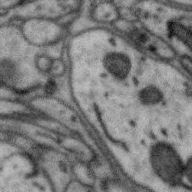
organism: Zebra finch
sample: Brain